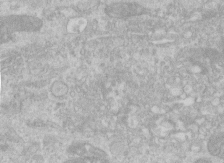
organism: Human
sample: Centriole in RPE cells